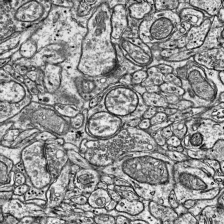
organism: Mouse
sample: Visual Cortex